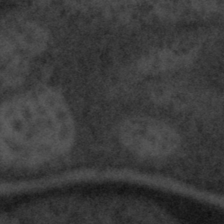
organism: Tuwongella immobilis